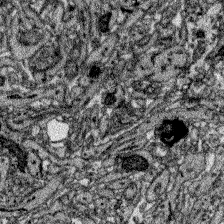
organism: Zebrafish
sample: Larval olfactory bulb